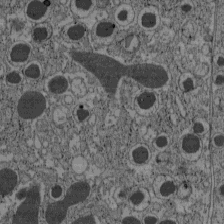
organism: C57BL Mouse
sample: Pancreatic islet